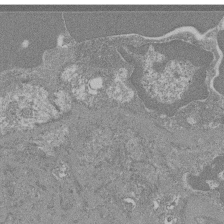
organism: Mouse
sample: Glomerulus